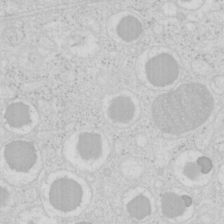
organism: Mouse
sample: Pancreas